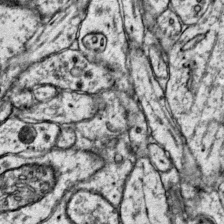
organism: Mouse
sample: Primary visual cortex